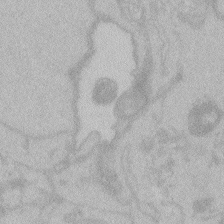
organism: Zebrafish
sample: Macrophage infected with Toxoplasma gondii